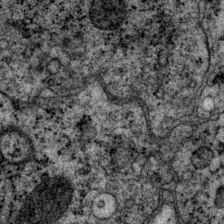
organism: P. pacificus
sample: Pharynx